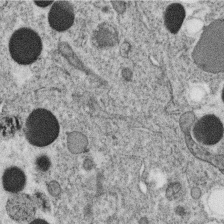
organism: C. elegans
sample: C. elegans oocyte; sperm cells